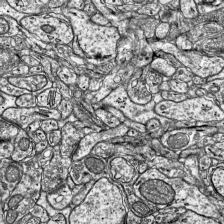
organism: Mouse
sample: Visual Cortex